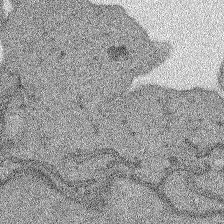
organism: Human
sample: HeLa cells